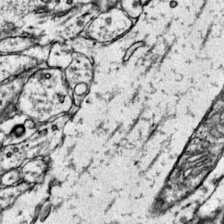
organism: Mouse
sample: Primary visual cortex